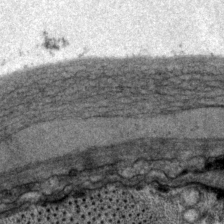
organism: P. pacificus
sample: Pharynx